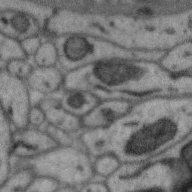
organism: Zebra finch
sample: Brain